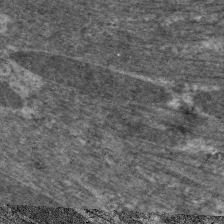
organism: C. elegans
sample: Pharynx